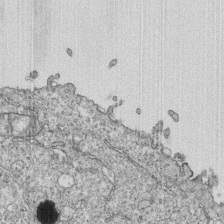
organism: Human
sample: HeLa cell HIV synapse